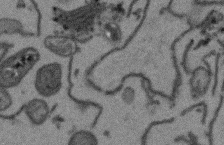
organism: Arabidopsis thaliana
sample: Root tip